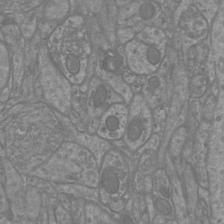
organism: Mouse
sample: Cortical neurons